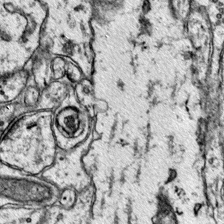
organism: Mouse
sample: Primary visual cortex